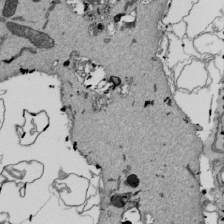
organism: Mouse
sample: ED-1 cell nuclei; centrioles